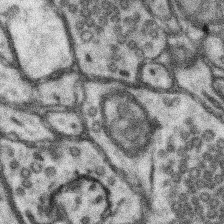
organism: Mouse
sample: Somatosensory cortex neuropil